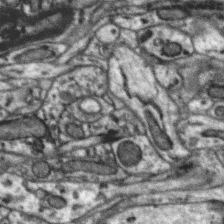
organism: Zebra finch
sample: Brain